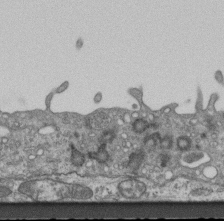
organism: Mouse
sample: Centriole in ependymal cells